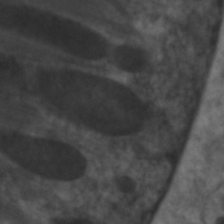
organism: C. elegans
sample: Pharynx